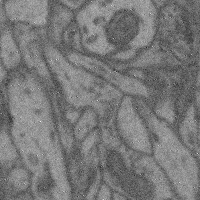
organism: Mouse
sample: Cerebral cortex